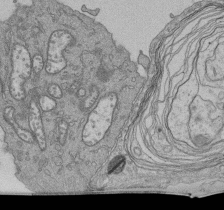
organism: Human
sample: Retinal organoid Rod and Cone cells